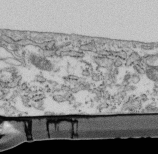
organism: Mouse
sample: Cilia; retinal pigment epithelium